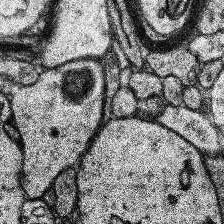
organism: Human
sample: Temporal Lobe